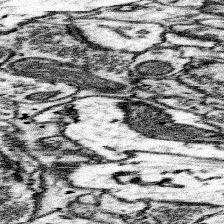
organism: Mouse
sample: Somatosensory cortex neuropil